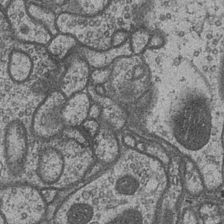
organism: Drosophila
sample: Optic medulla